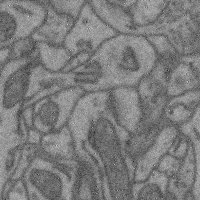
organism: Mouse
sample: Cerebral cortex